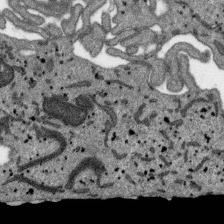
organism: Human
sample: Lung epithelial cells, uninfected (mock) control